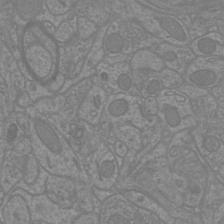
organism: Mouse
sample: Cortical neurons